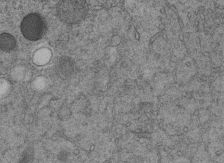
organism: C. elegans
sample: C. elegans embryo early stage